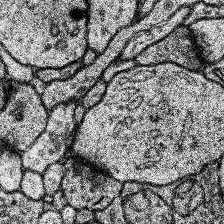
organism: Human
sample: Temporal Lobe